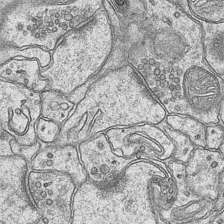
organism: Mouse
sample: CA1 Hippocampus